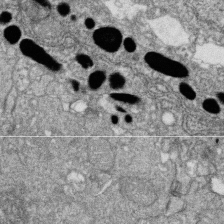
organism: Zebrafish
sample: Cilia; retinal pigment epithelium